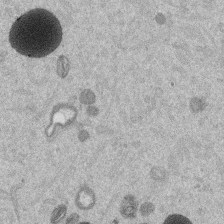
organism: Mouse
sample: Dividing mouse embryo 1 cell stage